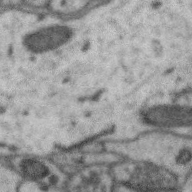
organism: Zebra finch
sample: Brain